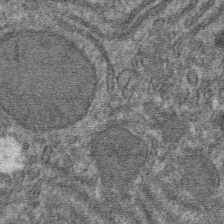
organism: Mouse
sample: Mouse hepatocytes